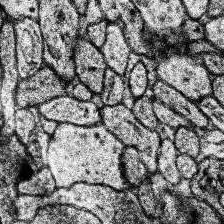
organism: Human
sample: Temporal Lobe